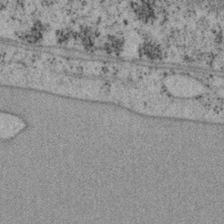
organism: Human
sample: HeLa cells